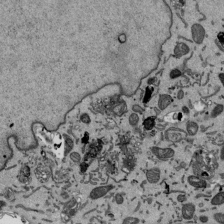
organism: Mouse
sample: ED-1 cell nuclei; centrioles